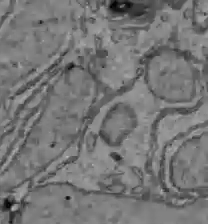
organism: C57BL Mouse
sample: Liver